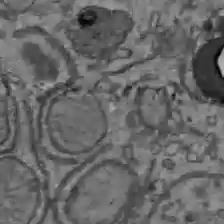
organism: C57BL Mouse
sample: Liver